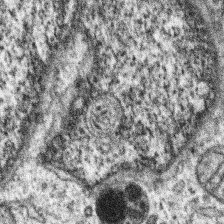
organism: Human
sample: HeLa cells